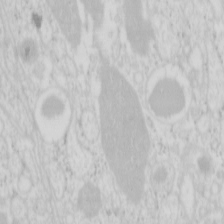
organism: Mouse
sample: Pancreas